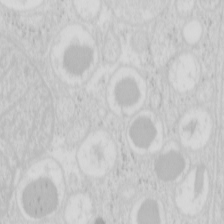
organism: Mouse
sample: Pancreas